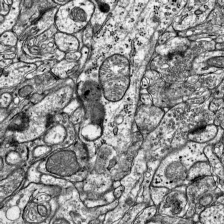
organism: Mouse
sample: Visual Cortex